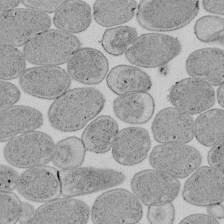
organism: E. coli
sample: Bacterial nucleoid